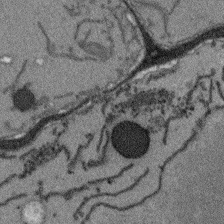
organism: Arabidopsis thaliana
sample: Root tip